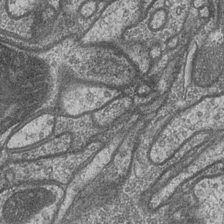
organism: Drosophila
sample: Optic medulla